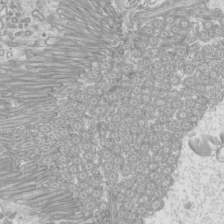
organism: Mouse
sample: Cilia; mouse epididymis